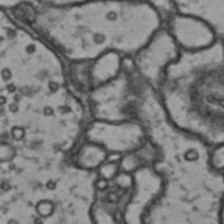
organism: Drosophila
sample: Brain